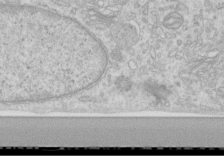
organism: Human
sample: Centriole in RPE cells